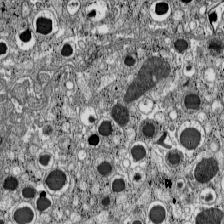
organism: C57BL Mouse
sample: Pancreatic islet